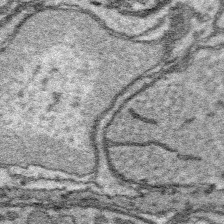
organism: Platynereis dumerilii